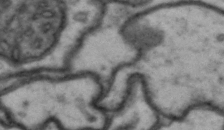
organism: Drosophila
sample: Brain